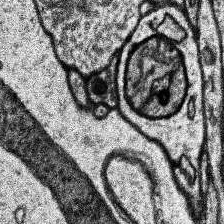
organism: Human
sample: Temporal Lobe